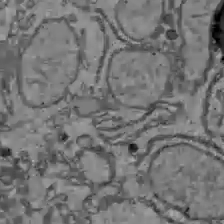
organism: C57BL Mouse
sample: Liver